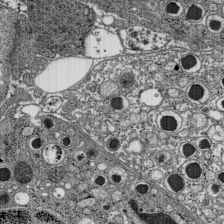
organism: C57BL Mouse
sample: Pancreatic islet